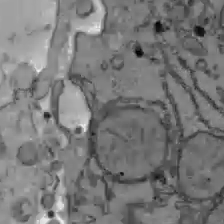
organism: C57BL Mouse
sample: Liver